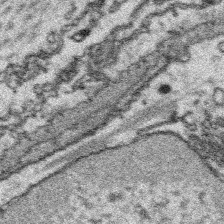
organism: Platynereis dumerilii